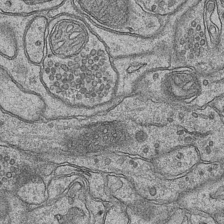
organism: Mouse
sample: CA1 Hippocampus